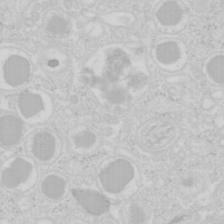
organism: Mouse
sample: Pancreas